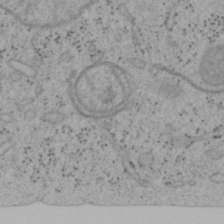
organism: Human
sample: HeLa cells